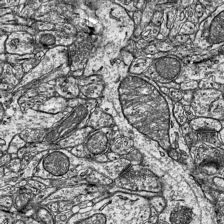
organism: Mouse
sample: Visual Cortex